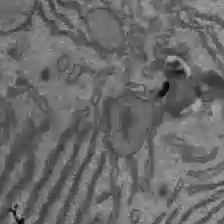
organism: C57BL Mouse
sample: Liver